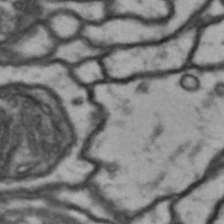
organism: Drosophila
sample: Brain